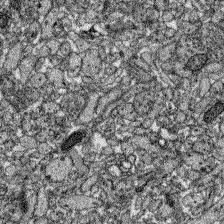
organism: Zebrafish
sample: Larval olfactory bulb